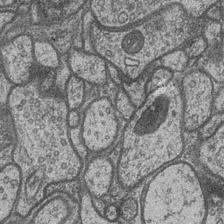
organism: Drosophila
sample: Optic medulla